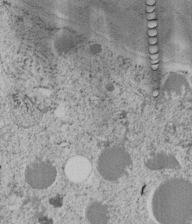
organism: C. elegans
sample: C. elegans embryo early stage